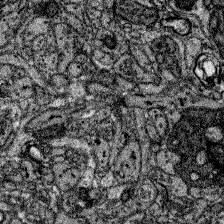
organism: Zebrafish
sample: Larval olfactory bulb